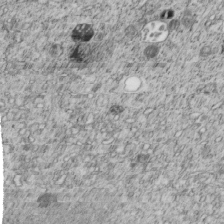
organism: C. elegans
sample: C. elegans embryo early stage